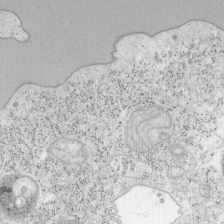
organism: Mouse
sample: OT-I killer T cells with ID8 ovarian cancer cells